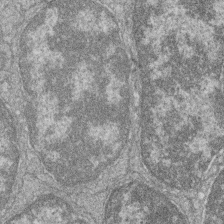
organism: Zebrafish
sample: Cilia; retinal pigment epithelium